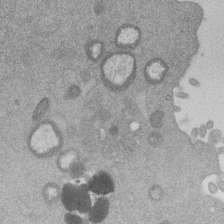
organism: Mouse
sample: Dividing mouse embryo 1 cell stage